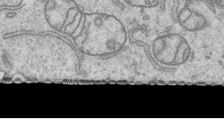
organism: Human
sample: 1205lu cells